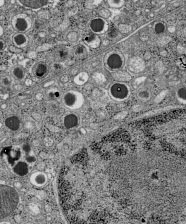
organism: C57BL Mouse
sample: Pancreatic islet